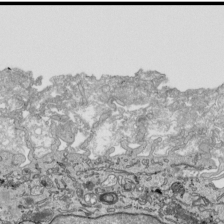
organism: Human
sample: Mitochondria in HCT116 cells